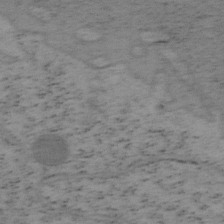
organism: Mouse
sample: OT-I killer T cells with ID8 ovarian cancer cells